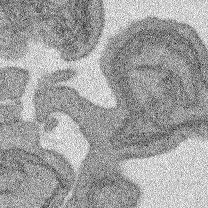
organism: Human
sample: HeLa cells